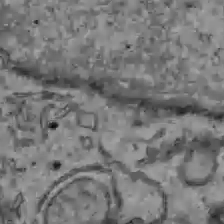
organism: C57BL Mouse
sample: Liver